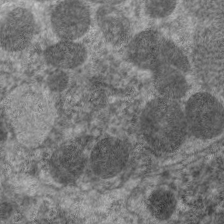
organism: C. elegans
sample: Pharynx